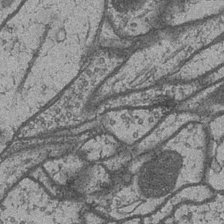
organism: Drosophila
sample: Optic medulla